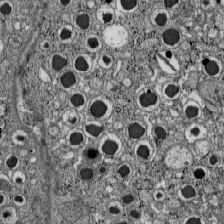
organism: C57BL Mouse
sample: Pancreatic islet